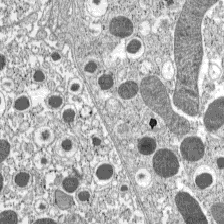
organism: C57BL Mouse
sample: Pancreatic islet